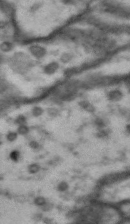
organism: Drosophila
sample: Brain